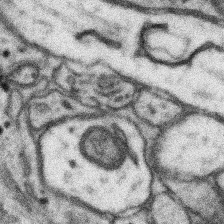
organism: Mouse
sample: Somatosensory cortex neuropil